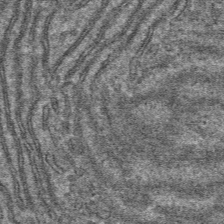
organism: Mouse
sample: Mouse hepatocytes